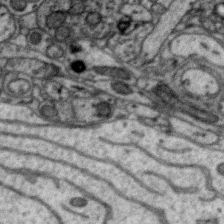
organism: Zebra finch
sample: Brain